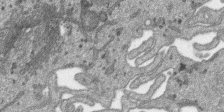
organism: Human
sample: Lung epithelial cells infected with SARS-CoV-2